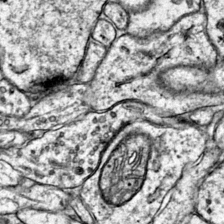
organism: Mouse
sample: Primary visual cortex